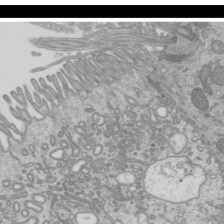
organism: Mouse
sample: Cilia; mouse epididymis